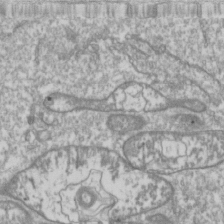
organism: Drosophila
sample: Cell division; meiosis; drosophila spermatocytes